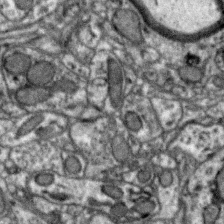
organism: Zebra finch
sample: Brain